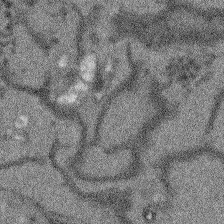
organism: Arabidopsis thaliana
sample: Root tip